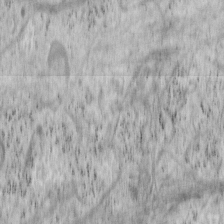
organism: Human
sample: HeLa cells